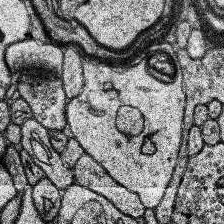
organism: Human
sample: Temporal Lobe